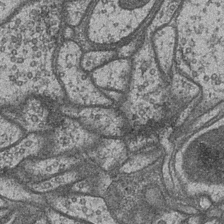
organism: Drosophila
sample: Optic medulla